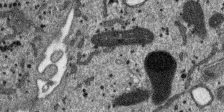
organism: Human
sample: Lung epithelial cells infected with SARS-CoV-2